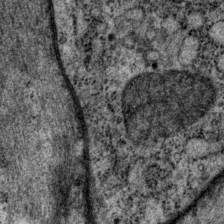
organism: P. pacificus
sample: Pharynx